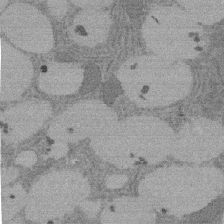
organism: Rat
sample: Salivary granule